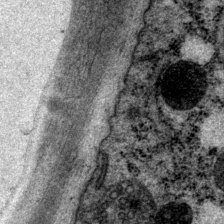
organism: P. pacificus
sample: Pharynx